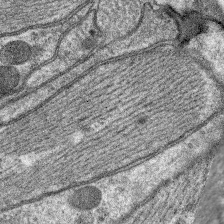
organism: C. elegans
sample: Pharynx